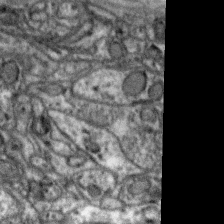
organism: Zebra finch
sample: Brain